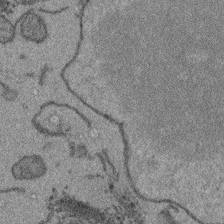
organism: Arabidopsis thaliana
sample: Root tip